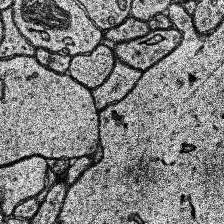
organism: Human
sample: Temporal Lobe